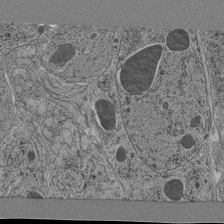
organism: C. elegans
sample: C. elegans pharynx